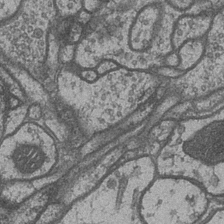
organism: Drosophila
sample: Optic medulla